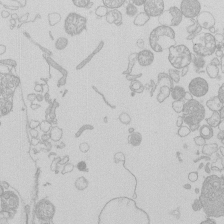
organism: Human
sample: Macrophage cells